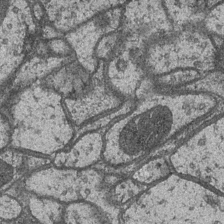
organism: Drosophila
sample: Optic medulla